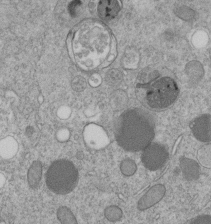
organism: C. elegans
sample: C. elegans embryo early stage